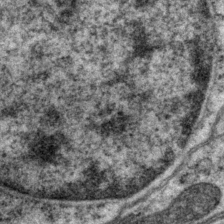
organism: P. pacificus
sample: Pharynx